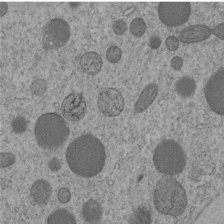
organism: C. elegans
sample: C. elegans embryo early stage